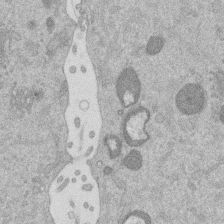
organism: Mouse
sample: Dividing mouse embryo 1 cell stage